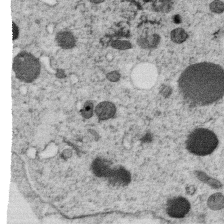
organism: C. elegans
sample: C. elegans oocyte; sperm cells